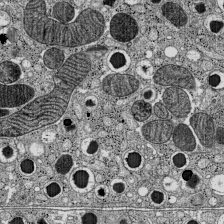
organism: C57BL Mouse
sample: Pancreatic islet